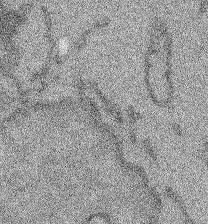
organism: Human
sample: HeLa cells